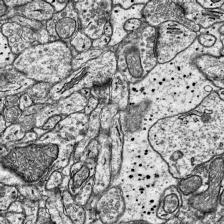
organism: Mouse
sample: Visual Cortex